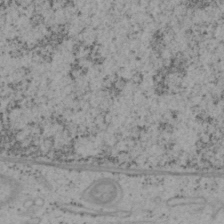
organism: Human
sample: HeLa cells